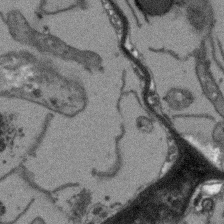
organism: Arabidopsis thaliana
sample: Root tip